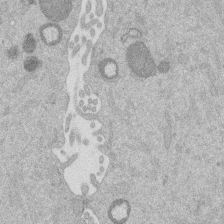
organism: Mouse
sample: Dividing mouse embryo 1 cell stage